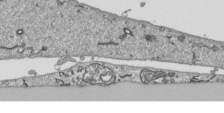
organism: Human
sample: Mitochondria in HCT116 cells